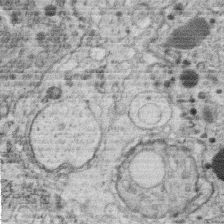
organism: C. elegans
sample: C. elegans oocyte; sperm cells